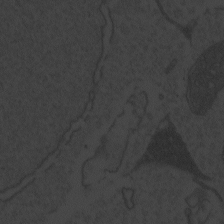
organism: Zebrafish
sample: Macrophage infected with Toxoplasma gondii